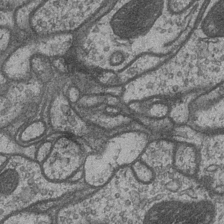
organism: Drosophila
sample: Optic medulla